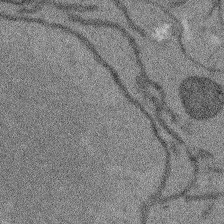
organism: Arabidopsis thaliana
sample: Root tip